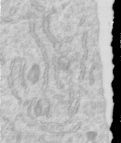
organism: Human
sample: Centriole in RPE cells